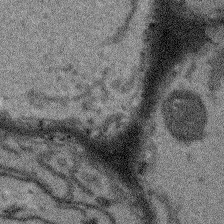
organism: Arabidopsis thaliana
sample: Root tip